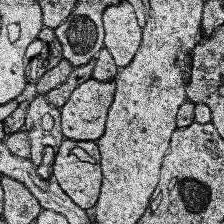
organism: Human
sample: Temporal Lobe